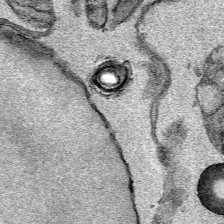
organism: Mouse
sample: Cancer cell death in ED-1 cells